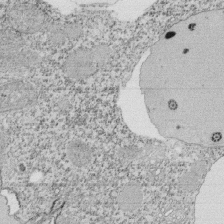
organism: Tetrahymena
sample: Cilia in tetrahymena